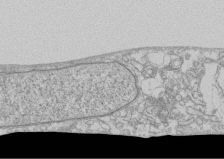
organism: Human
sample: CRL-1474